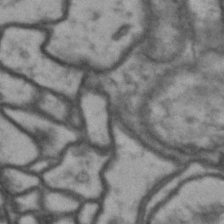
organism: Drosophila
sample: Brain